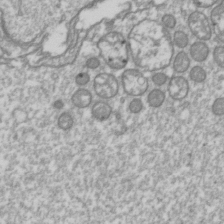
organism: Drosophila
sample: Cell division; meiosis; drosophila spermatocytes